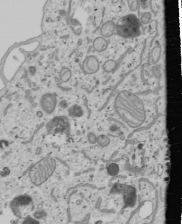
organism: Human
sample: Mitochondria in U2OS cells